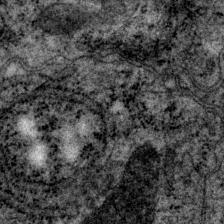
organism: P. pacificus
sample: Pharynx